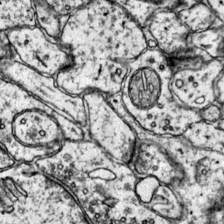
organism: Mouse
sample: Primary visual cortex